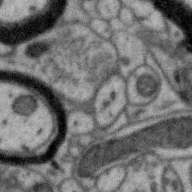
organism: Zebra finch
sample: Brain